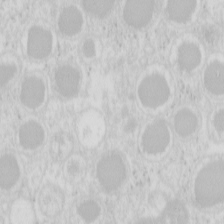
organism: Mouse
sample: Pancreas